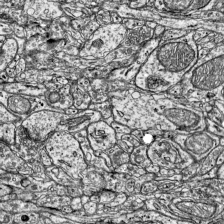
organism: Mouse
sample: Visual Cortex